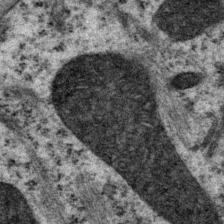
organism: P. pacificus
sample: Pharynx